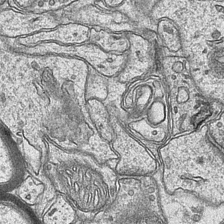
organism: Mouse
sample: CA1 Hippocampus